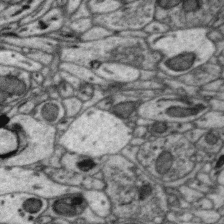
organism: Zebra finch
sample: Brain